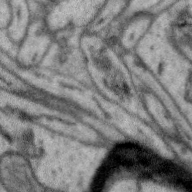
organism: Zebra finch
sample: Brain